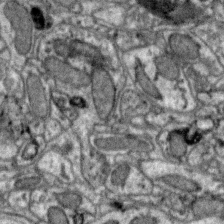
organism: Zebra finch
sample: Brain